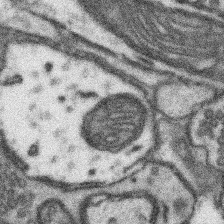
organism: Mouse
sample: Somatosensory cortex neuropil